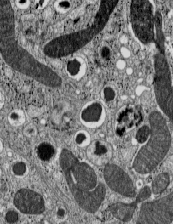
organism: C57BL Mouse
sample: Pancreatic islet